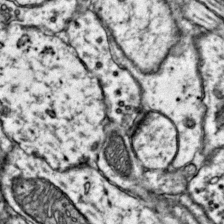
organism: Mouse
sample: Primary visual cortex